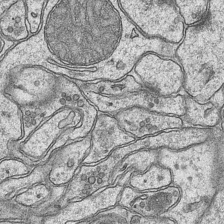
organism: Mouse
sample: CA1 Hippocampus